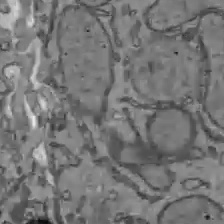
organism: C57BL Mouse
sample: Liver